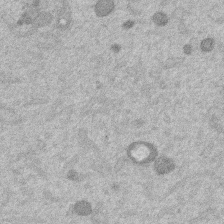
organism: Mouse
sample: Dividing mouse embryo 1 cell stage